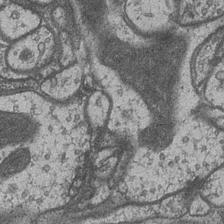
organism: Drosophila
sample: Optic medulla